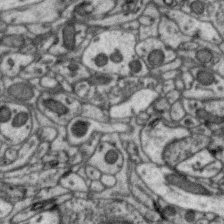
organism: Zebra finch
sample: Brain